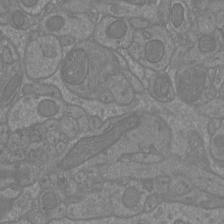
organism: Mouse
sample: Cortical neurons